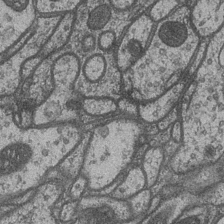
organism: Drosophila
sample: Optic medulla